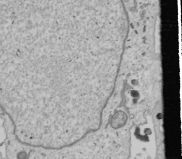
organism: Human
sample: Mitochondria in U2OS cells